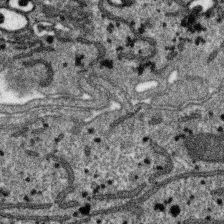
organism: Human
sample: Lung epithelial cells infected with SARS-CoV-2